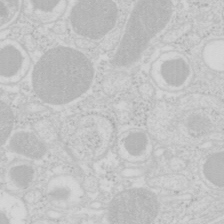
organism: Mouse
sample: Pancreas